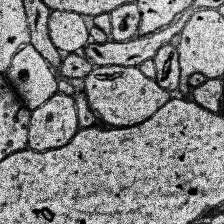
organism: Human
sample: Temporal Lobe